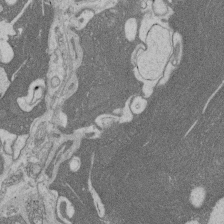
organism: Rat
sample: Salivary granule